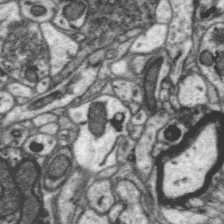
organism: Zebra finch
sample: Brain